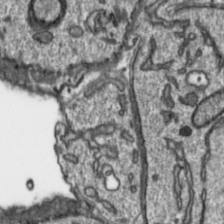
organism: Toxoplasma gondii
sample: Parasites in a vacuole inside a host cell